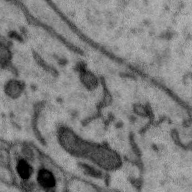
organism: Zebra finch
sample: Brain